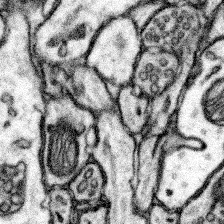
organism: Mouse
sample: Somatosensory cortex neuropil